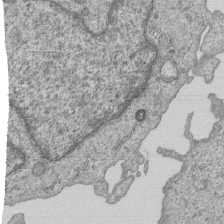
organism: Human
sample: MDA-MB-231 cells